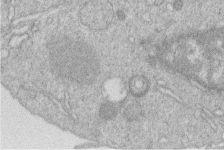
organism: Human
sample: Macrophage cells